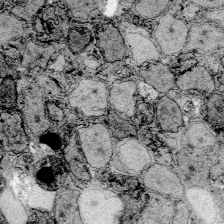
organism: Zebrafish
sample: Whole-Brain